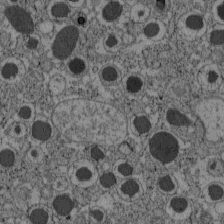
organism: C57BL Mouse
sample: Pancreatic islet